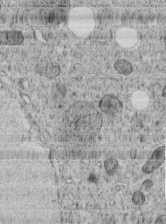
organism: C. elegans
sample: C. elegans embryo early stage